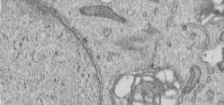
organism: Human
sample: Centriole in RPE cells